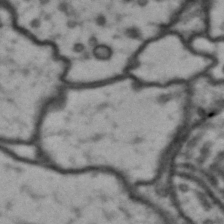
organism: Drosophila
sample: Brain